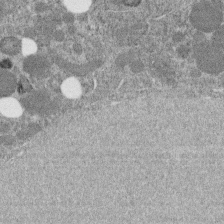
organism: C. elegans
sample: C. elegans embryo early stage